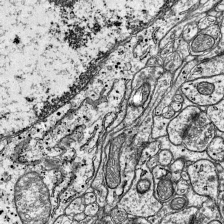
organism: Mouse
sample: Visual Cortex